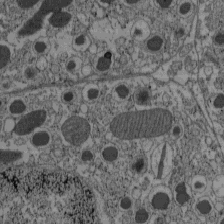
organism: C57BL Mouse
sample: Pancreatic islet